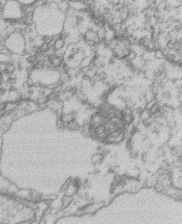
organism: Mouse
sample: T cell stromal cell synapse